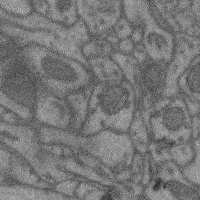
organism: Mouse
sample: Cerebral cortex